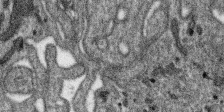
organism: Human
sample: Lung epithelial cells infected with SARS-CoV-2